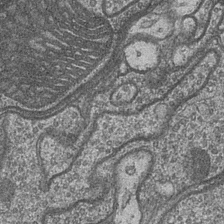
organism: Drosophila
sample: Optic medulla